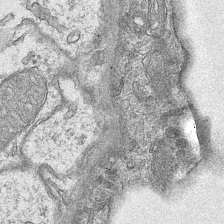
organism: Mouse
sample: CA1 Hippocampus